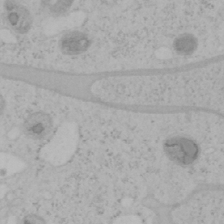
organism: Mouse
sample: OT-I killer T cells with ID8 ovarian cancer cells